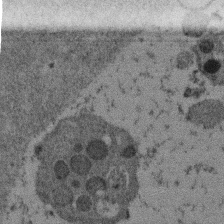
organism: Mouse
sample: Dividing mouse embryo 1 cell stage